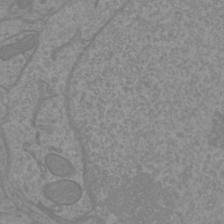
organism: Mouse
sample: Cortical neurons